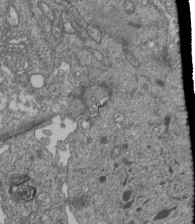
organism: Human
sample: Retinal organoid Rod and Cone cells